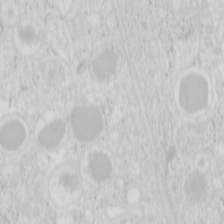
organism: Mouse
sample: Pancreas